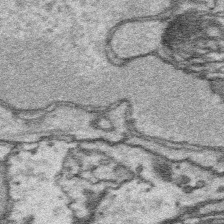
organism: Platynereis dumerilii